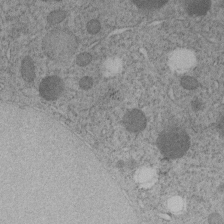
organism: C. elegans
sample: C. elegans embryo early stage